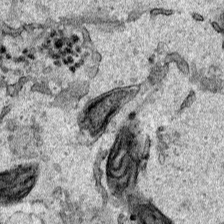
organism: Human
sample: Mitochondria in HCT116 cells